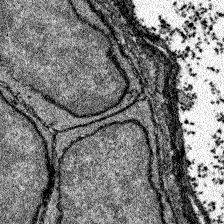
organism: Zebrafish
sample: Larval olfactory bulb